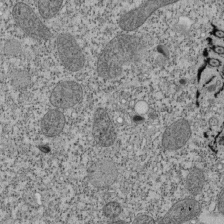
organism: Tetrahymena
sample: Cilia in tetrahymena